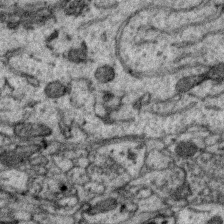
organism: Zebra finch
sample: Brain